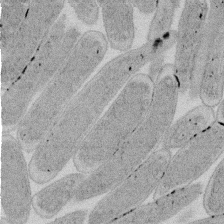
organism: E. coli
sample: Bacterial nucleoid